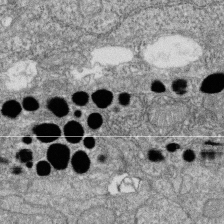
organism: Zebrafish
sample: Cilia; retinal pigment epithelium